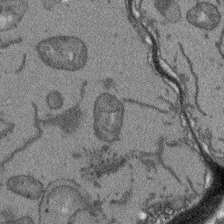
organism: Arabidopsis thaliana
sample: Root tip